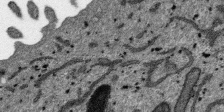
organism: Human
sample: Lung epithelial cells, uninfected (mock) control